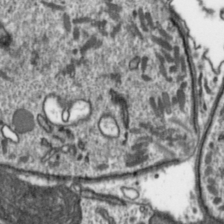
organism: Toxoplasma gondii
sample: Parasites in a vacuole inside a host cell